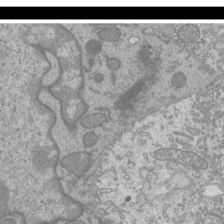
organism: Mouse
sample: Cilia; mouse epididymis